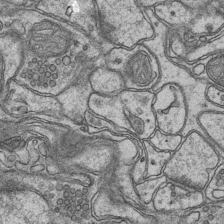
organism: Mouse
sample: CA1 Hippocampus